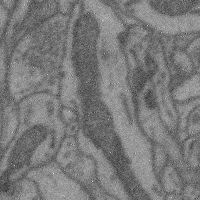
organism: Mouse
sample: Cerebral cortex